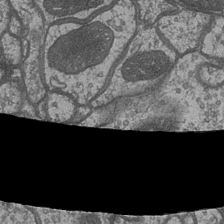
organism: Drosophila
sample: Optic medulla